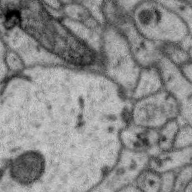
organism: Zebra finch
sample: Brain